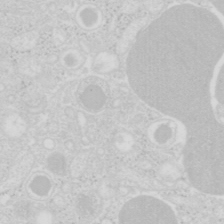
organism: Mouse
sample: Pancreas